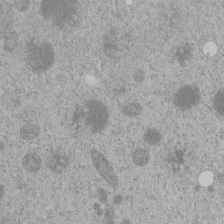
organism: C. elegans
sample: C. elegans embryo early stage